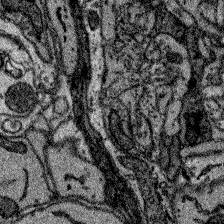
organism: Zebrafish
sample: Larval olfactory bulb